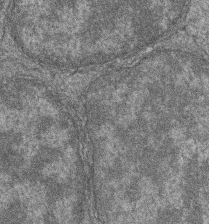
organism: Zebrafish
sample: Cilia; retinal pigment epithelium